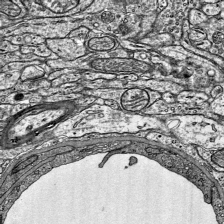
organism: Mouse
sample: Visual Cortex